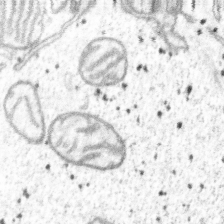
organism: Human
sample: HeLa cells